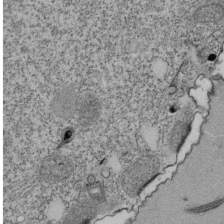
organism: Tetrahymena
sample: Cilia in tetrahymena